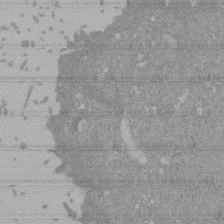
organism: Mouse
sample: ED-1 cell nuclei; centrioles